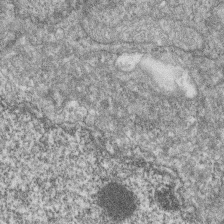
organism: Zebrafish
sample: Cilia; retinal pigment epithelium